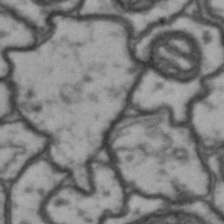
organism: Drosophila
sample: Brain